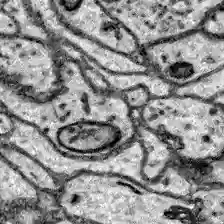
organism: Zebrafish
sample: Brain